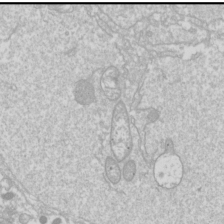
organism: Drosophila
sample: Cell division; meiosis; drosophila spermatocytes